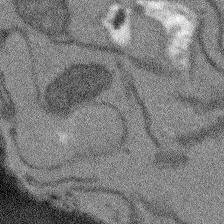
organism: Arabidopsis thaliana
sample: Root tip